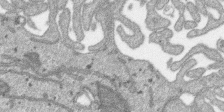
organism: Human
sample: Lung epithelial cells infected with SARS-CoV-2